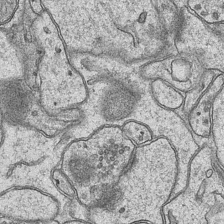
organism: Mouse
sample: CA1 Hippocampus